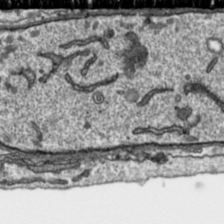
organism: Toxoplasma gondii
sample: Parasites in a vacuole inside a host cell